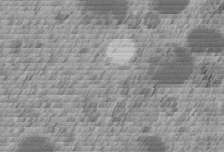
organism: C. elegans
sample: C. elegans embryo early stage